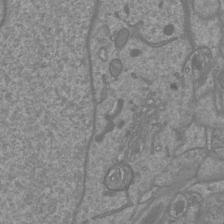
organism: Mouse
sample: Cortical neurons